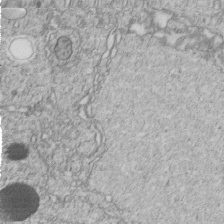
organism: C. elegans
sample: C. elegans embryo early stage